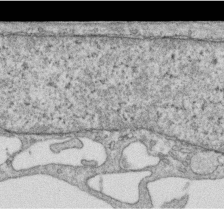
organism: Human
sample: Centriole in RPE cells